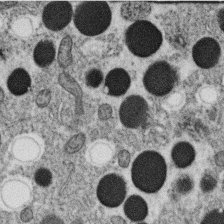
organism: C. elegans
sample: C. elegans oocyte; sperm cells